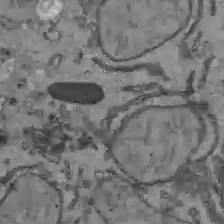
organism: C57BL Mouse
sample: Liver